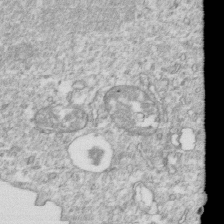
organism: Mouse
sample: Activated OT-1 CD8+ T cells